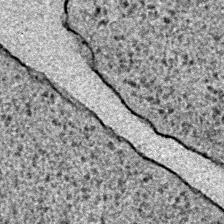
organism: E. coli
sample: E. Coli Bacteria